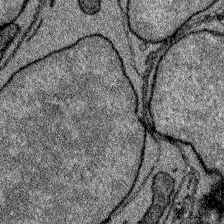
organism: Zebrafish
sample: Larval olfactory bulb